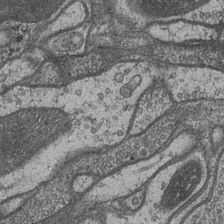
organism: Drosophila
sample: Optic medulla